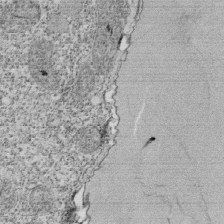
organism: Tetrahymena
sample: Cilia in tetrahymena